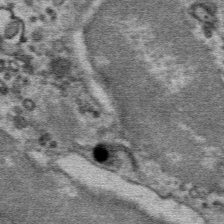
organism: Mouse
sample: Mouse Salivary gland